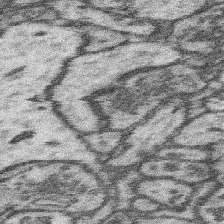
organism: Mouse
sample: Somatosensory cortex neuropil